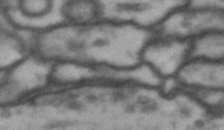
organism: Drosophila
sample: Brain